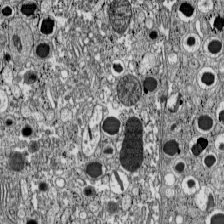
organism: C57BL Mouse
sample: Pancreatic islet